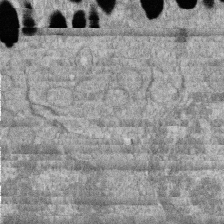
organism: Zebrafish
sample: Cilia; retinal pigment epithelium